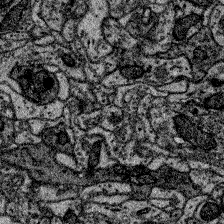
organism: Zebrafish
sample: Larval olfactory bulb